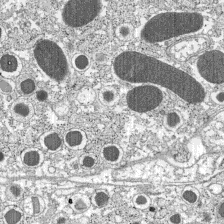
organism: C57BL Mouse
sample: Pancreatic islet